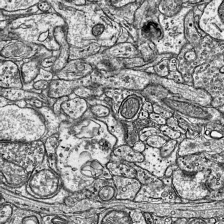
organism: Mouse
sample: Visual Cortex